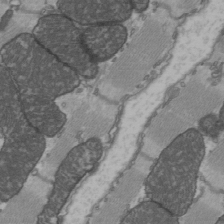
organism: C57BL Mouse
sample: Heart